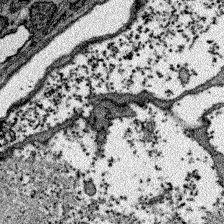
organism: Zebrafish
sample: Larval olfactory bulb